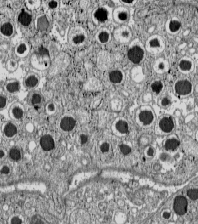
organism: C57BL Mouse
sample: Pancreatic islet